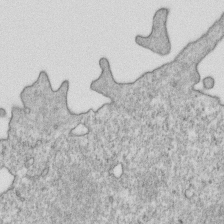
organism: Mouse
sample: Activated OT-1 CD8+ T cells